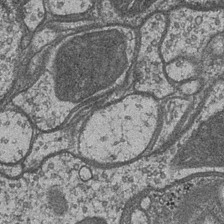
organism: Drosophila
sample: Optic medulla